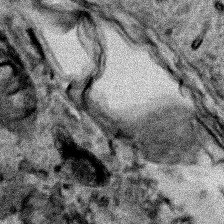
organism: Human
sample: Mitochondria in HCT116 cells